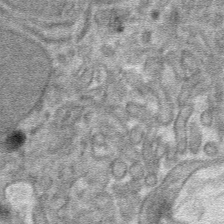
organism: Mouse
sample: Mouse hepatocytes